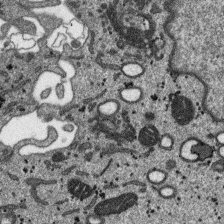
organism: Human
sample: Lung epithelial cells infected with SARS-CoV-2